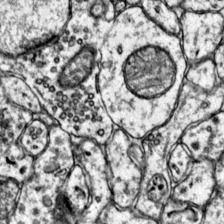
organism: Mouse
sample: Primary visual cortex